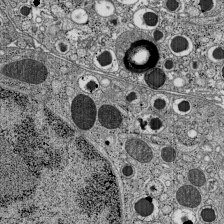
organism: C57BL Mouse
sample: Pancreatic islet